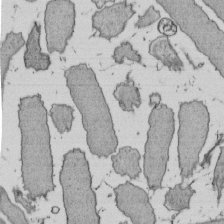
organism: E. coli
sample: Bacterial nucleoid